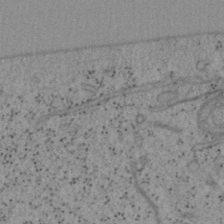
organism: Human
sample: HeLa cells